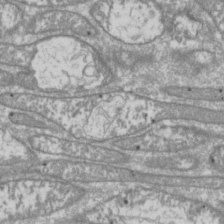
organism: Drosophila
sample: Cell division; meiosis; drosophila spermatocytes